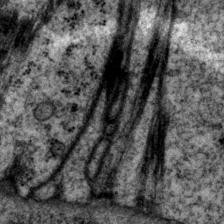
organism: P. pacificus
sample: Pharynx